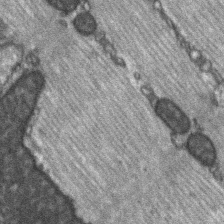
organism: C57BL Mouse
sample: Soleus